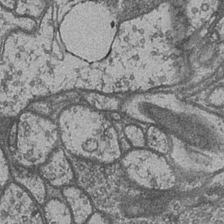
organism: Drosophila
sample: Optic medulla